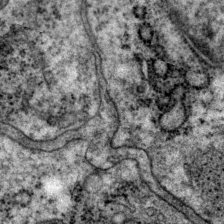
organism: P. pacificus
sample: Pharynx